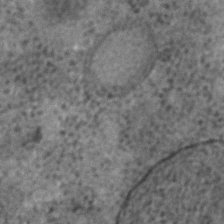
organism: C. elegans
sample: C. elegans embryo